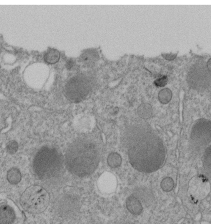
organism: C. elegans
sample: C. elegans embryo early stage